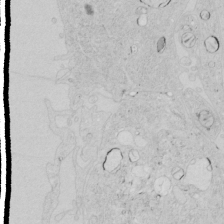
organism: Human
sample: Mitochondria in HCT116 cells